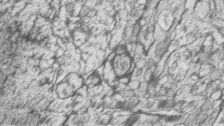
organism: Zebrafish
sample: synaptic ribbons in rod cells and cone cells